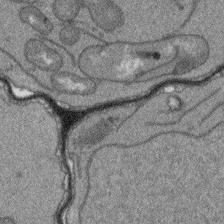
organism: Arabidopsis thaliana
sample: Root tip